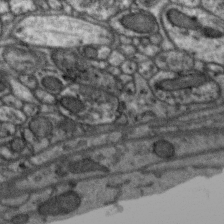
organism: Zebra finch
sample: Brain